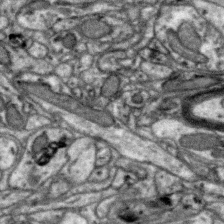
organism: Zebra finch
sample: Brain